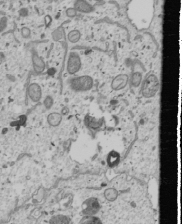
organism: Human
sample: Mitochondria in U2OS cells